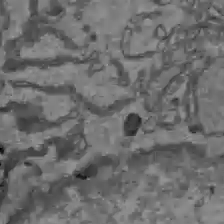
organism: C57BL Mouse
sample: Liver